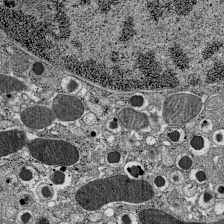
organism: C57BL Mouse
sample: Pancreatic islet